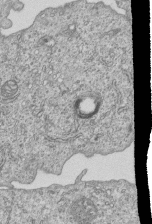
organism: Human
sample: MDA-MB-231 cells